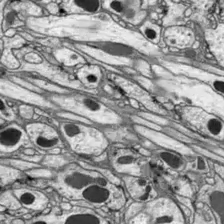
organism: Drosophila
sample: Optic lobe